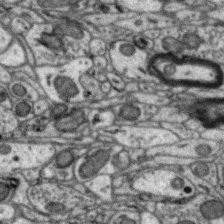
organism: Zebra finch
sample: Brain